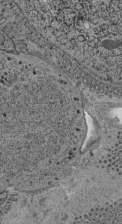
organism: C. elegans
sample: C. elegans pharynx